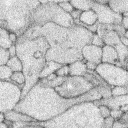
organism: Rabbit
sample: Retina